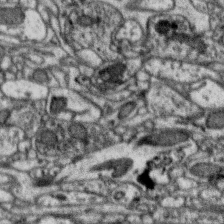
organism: Zebra finch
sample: Brain